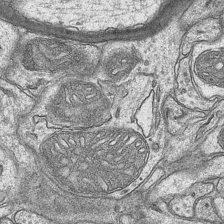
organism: Mouse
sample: CA1 Hippocampus